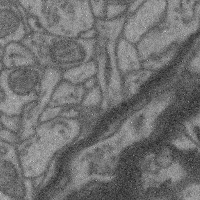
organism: Mouse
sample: Cerebral cortex